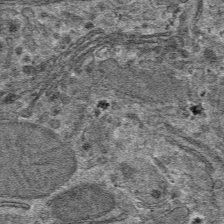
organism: Mouse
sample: Mouse hepatocytes